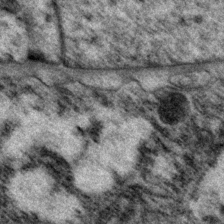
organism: P. pacificus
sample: Pharynx